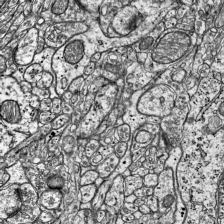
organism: Mouse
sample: Visual Cortex